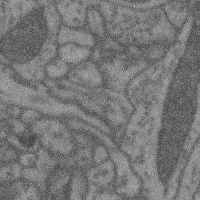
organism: Mouse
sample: Cerebral cortex